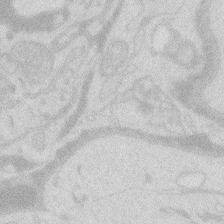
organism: Zebrafish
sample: Macrophage